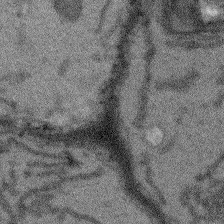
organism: Arabidopsis thaliana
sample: Root tip